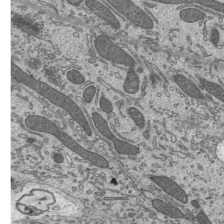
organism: Mouse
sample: Mouse epididymis efferent ductule cilia